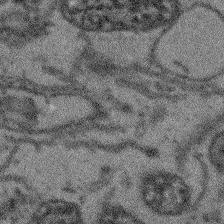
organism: Arabidopsis thaliana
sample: Root tip